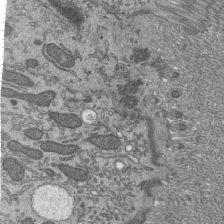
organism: Mouse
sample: Mouse epididymis efferent ductule cilia